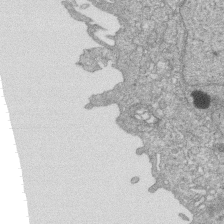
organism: Human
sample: HeLa cell HIV synapse